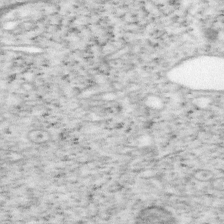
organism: Mouse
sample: OT-I killer T cells with ID8 ovarian cancer cells